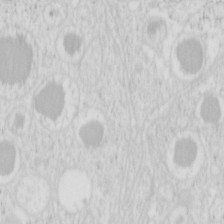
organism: Mouse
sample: Pancreas